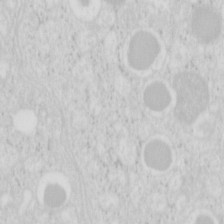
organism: Mouse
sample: Pancreas